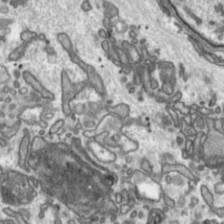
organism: Toxoplasma gondii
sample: Parasites in a vacuole inside a host cell